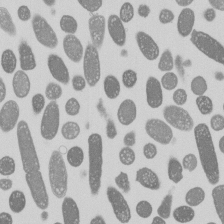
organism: E. coli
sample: Bacterial nucleoid